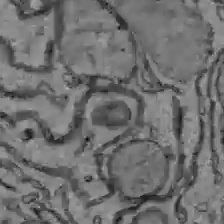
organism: C57BL Mouse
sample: Liver